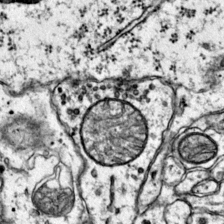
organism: Mouse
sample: Primary visual cortex